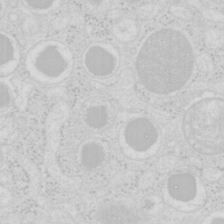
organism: Mouse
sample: Pancreas